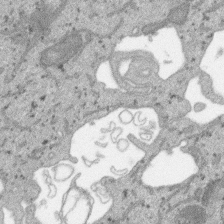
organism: Human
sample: Lung epithelial cells infected with SARS-CoV-2